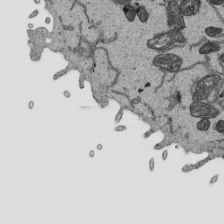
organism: Human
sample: Mitochondria in HCT116 cells